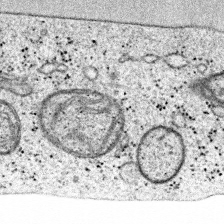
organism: Human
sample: HeLa cells